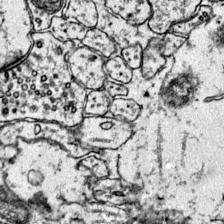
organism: Mouse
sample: Primary visual cortex